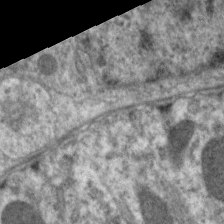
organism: C. elegans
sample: Pharynx